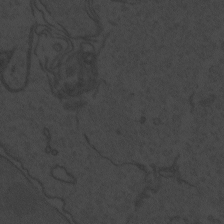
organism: Zebrafish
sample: Macrophage infected with Toxoplasma gondii